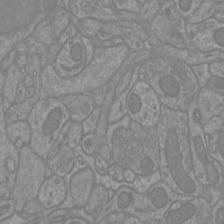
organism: Mouse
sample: Cortical neurons